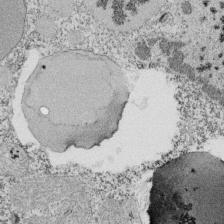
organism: Tetrahymena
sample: Cilia in tetrahymena